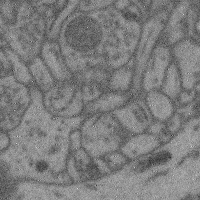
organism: Mouse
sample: Cerebral cortex